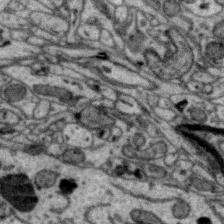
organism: Zebra finch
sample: Brain